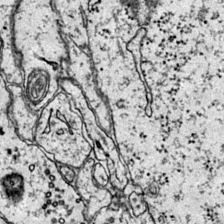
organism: Mouse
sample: Primary visual cortex